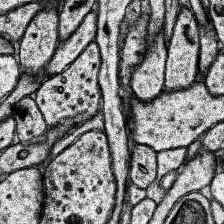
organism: Human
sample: Temporal Lobe